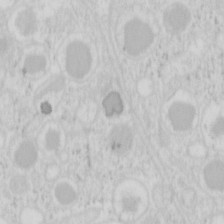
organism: Mouse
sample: Pancreas